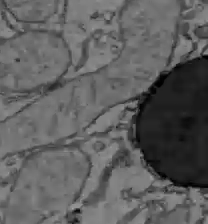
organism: C57BL Mouse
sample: Liver